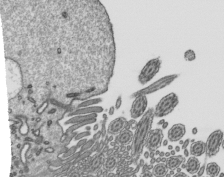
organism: Mouse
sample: Mouse epididymis efferent ductule cilia